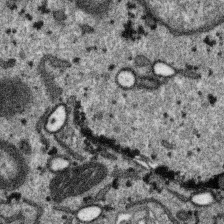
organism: Human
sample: Lung epithelial cells infected with SARS-CoV-2